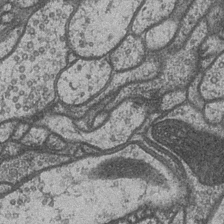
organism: Drosophila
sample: Optic medulla